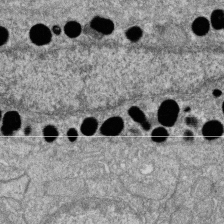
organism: Zebrafish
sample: Cilia; retinal pigment epithelium